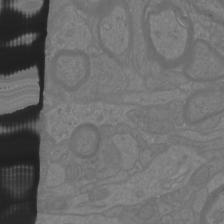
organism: Mouse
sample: Cortical neurons